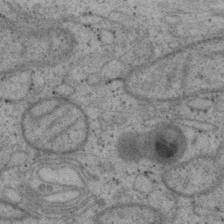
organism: Human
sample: HeLa cells